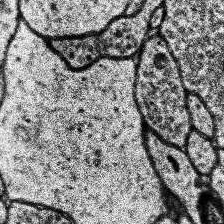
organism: Human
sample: Temporal Lobe